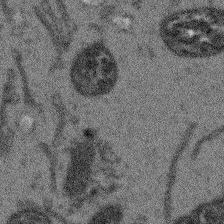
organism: Arabidopsis thaliana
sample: Root tip